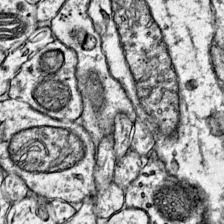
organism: Mouse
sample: Primary visual cortex